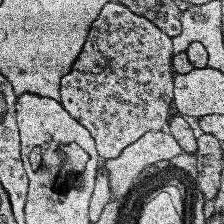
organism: Human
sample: Temporal Lobe